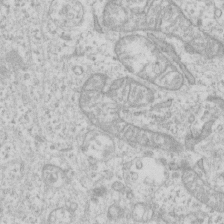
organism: Human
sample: Fibroblast cells